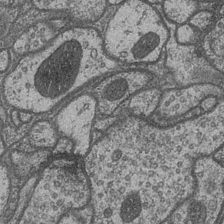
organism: Drosophila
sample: Optic medulla